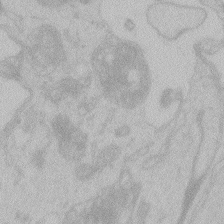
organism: Zebrafish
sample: Macrophage infected with Toxoplasma gondii